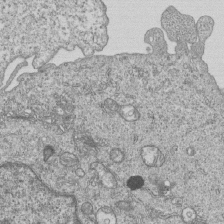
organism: Human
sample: MDA-MB-231 cells